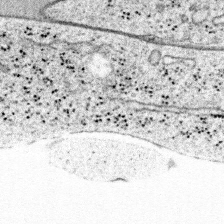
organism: Human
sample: HeLa cells